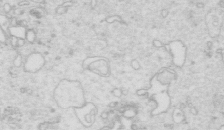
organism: Mouse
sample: Multiciliated cells